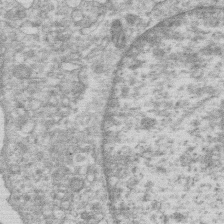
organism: Human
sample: Macrophage cells